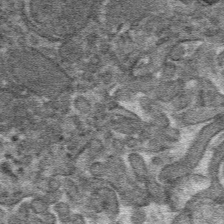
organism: Mouse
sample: Mouse hepatocytes